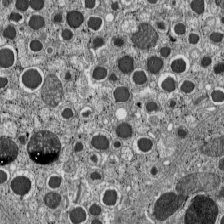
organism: C57BL Mouse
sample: Pancreatic islet